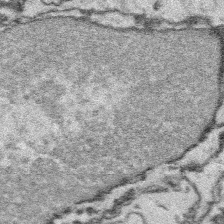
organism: Platynereis dumerilii